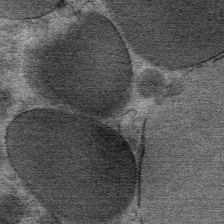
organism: Mouse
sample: Mouse Salivary gland